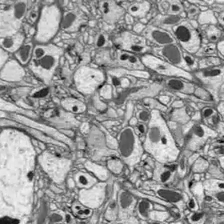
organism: Drosophila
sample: Optic lobe